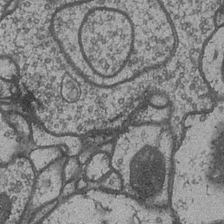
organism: Drosophila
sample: Optic medulla